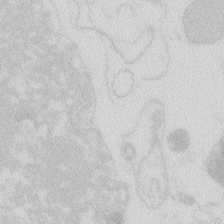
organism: Zebrafish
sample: Macrophage